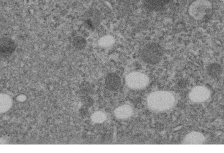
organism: C. elegans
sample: C. elegans embryo early stage